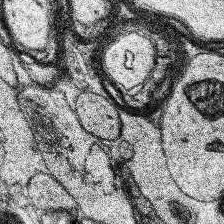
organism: Human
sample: Temporal Lobe